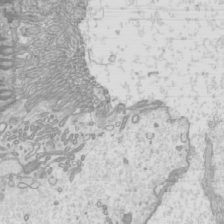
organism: Mouse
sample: Cilia; mouse epididymis